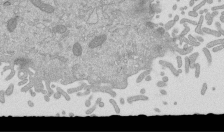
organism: Mouse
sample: ED-1 cell nuclei; centrioles